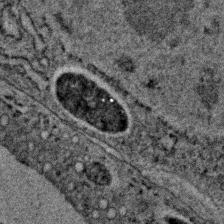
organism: C. elegans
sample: C. elegans embryo